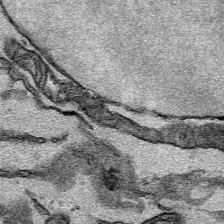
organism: Mouse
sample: Cancer cell death in ED-1 cells